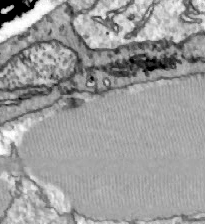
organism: Zebrafish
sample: Actinotrichia fibers